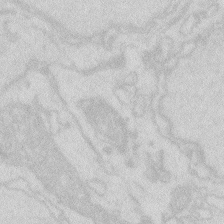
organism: Zebrafish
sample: Macrophage